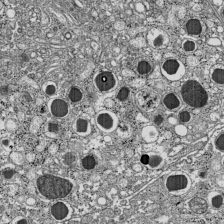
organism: C57BL Mouse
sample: Pancreatic islet